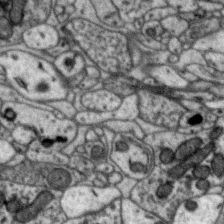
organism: Zebra finch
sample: Brain